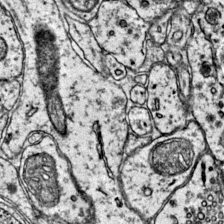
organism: Mouse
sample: Primary visual cortex